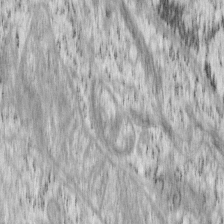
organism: Human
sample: HeLa cells